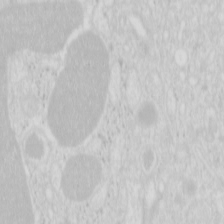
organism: Mouse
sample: Pancreas